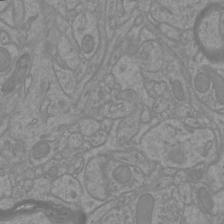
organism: Mouse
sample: Cortical neurons